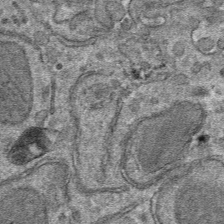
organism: Mouse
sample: Mouse hepatocytes